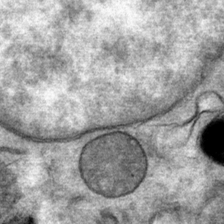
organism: Mouse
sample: Mouse Salivary gland